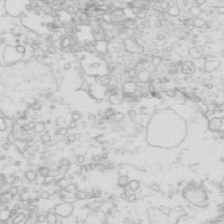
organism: Mouse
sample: Multiciliated cells